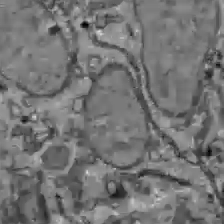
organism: C57BL Mouse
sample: Liver